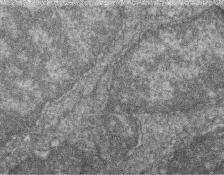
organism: Zebrafish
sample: Cilia; retinal pigment epithelium